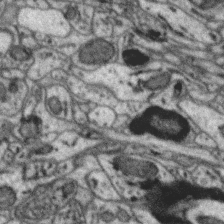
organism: Zebra finch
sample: Brain